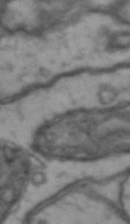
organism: Drosophila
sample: Brain